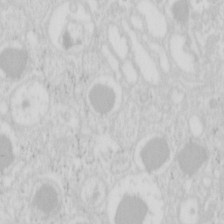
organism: Mouse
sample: Pancreas